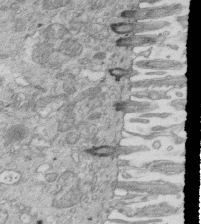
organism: Mouse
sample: Multiciliated cells